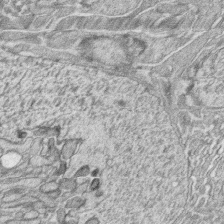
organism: Zebrafish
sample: synaptic ribbons in rod cells and cone cells